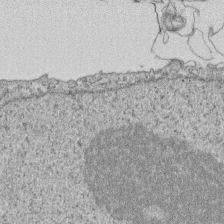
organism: Human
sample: HeLa cell HIV synapse